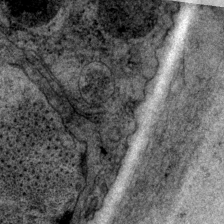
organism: P. pacificus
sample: Pharynx